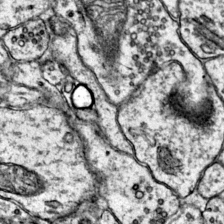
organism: Mouse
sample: Primary visual cortex